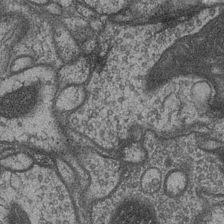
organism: Drosophila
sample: Optic medulla